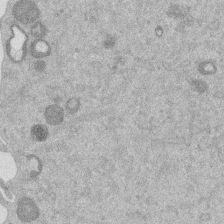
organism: Mouse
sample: Dividing mouse embryo 1 cell stage